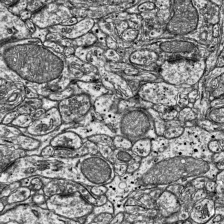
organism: Mouse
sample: Visual Cortex